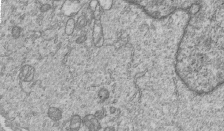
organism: Human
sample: MDA-MB-231 cells